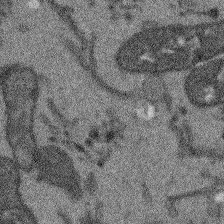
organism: Arabidopsis thaliana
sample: Root tip